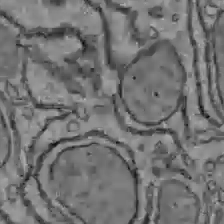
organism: C57BL Mouse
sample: Liver